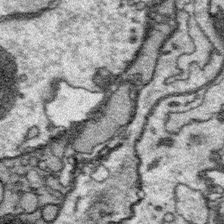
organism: Platynereis dumerilii